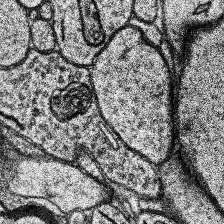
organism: Human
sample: Temporal Lobe